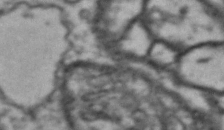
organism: Drosophila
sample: Brain